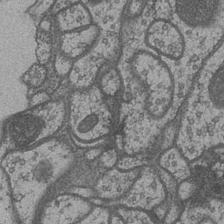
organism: Drosophila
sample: Optic medulla